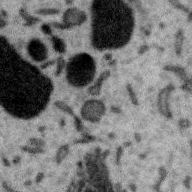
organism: Zebra finch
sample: Brain